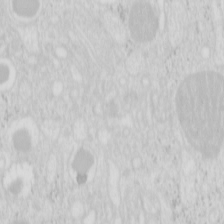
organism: Mouse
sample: Pancreas